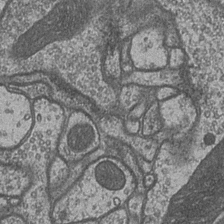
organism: Drosophila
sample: Optic medulla